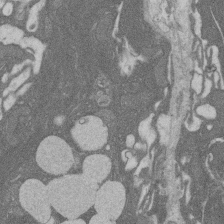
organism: Rat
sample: Salivary granule